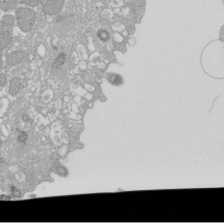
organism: Xenopus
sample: Cilia; centrioles in frog embryo cells